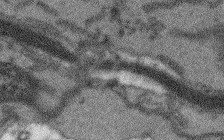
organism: Arabidopsis thaliana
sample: Root tip